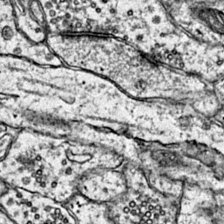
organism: Mouse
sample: Primary visual cortex